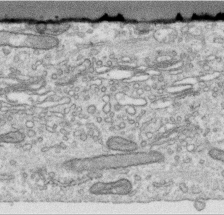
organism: Human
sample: Centriole in RPE cells